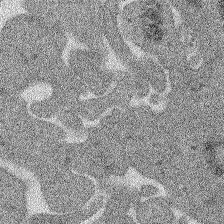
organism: Human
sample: HeLa cells